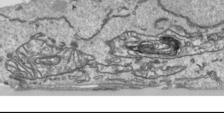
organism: Human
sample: Mitochondria in HCT116 cells